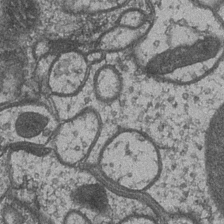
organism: Drosophila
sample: Optic medulla